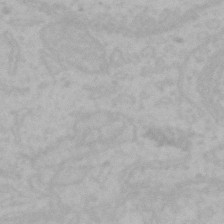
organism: Mouse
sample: Choroid plexus